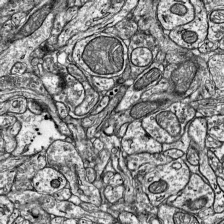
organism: Mouse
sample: Visual Cortex